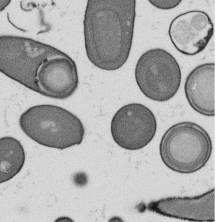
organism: B. subtilis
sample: Bacterial spore